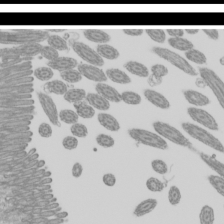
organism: Mouse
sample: Cilia; mouse epididymis